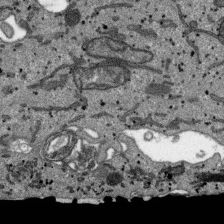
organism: Human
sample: Lung epithelial cells, uninfected (mock) control